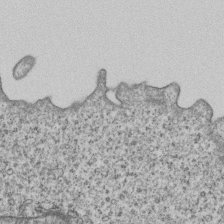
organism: Human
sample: MDA-MB-231 cells